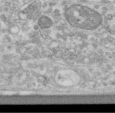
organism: Human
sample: Centriole in RPE cells